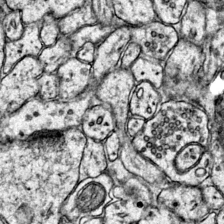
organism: Mouse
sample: Primary visual cortex